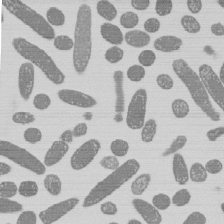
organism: E. coli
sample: Bacterial nucleoid